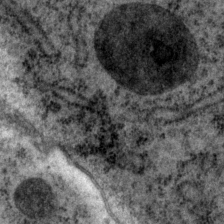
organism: P. pacificus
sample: Pharynx